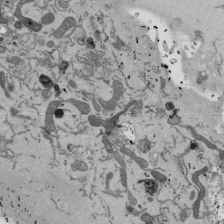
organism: Mouse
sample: ED-1 cell nuclei; centrioles